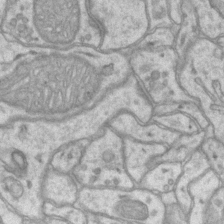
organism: Mouse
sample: CA1 Hippocampus